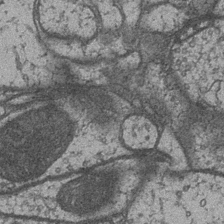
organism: Drosophila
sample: Optic medulla